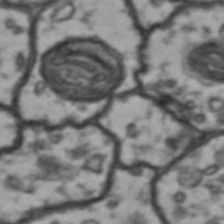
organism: Drosophila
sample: Brain